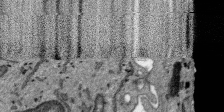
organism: Human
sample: Lung epithelial cells, uninfected (mock) control